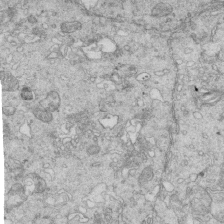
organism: Mouse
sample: Multiciliated cells